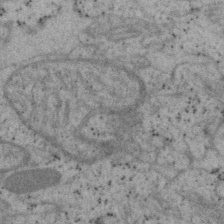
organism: Human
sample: HeLa cells